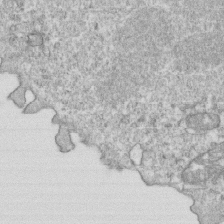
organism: Mouse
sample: Activated OT-1 CD8+ T cells